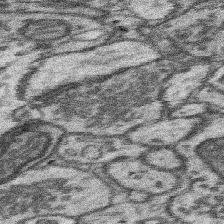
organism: Mouse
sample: Somatosensory cortex neuropil